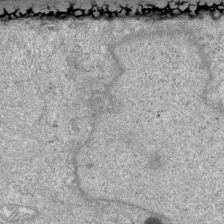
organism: Human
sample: HeLa cell HIV synapse